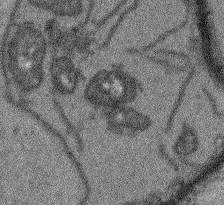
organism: Arabidopsis thaliana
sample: Root tip